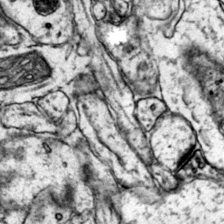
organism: Mouse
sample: Primary visual cortex